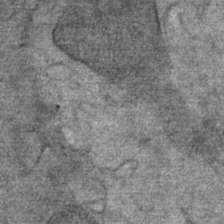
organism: Mouse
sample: Mouse Salivary gland